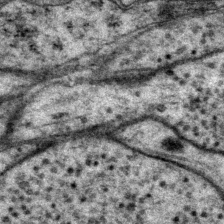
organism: P. pacificus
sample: Pharynx